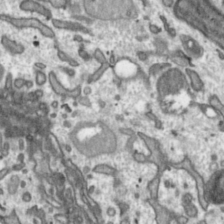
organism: Toxoplasma gondii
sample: Parasites in a vacuole inside a host cell